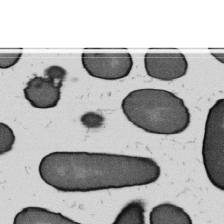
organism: B. subtilis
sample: Bacterial spore